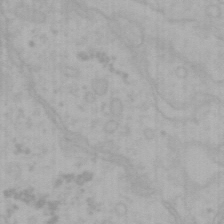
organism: Mouse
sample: Choroid plexus